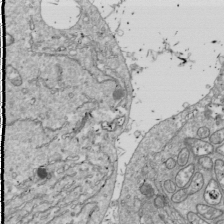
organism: Drosophila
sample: Cell division; meiosis; drosophila spermatocytes